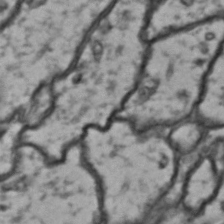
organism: Drosophila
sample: Brain